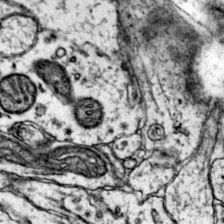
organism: Mouse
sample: Primary visual cortex